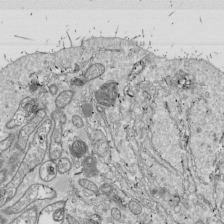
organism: Drosophila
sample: Cell division; meiosis; drosophila spermatocytes